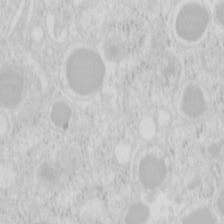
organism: Mouse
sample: Pancreas